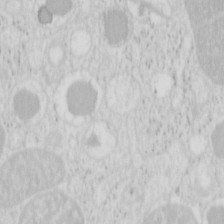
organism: Mouse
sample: Pancreas